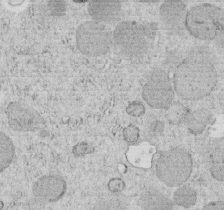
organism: C. elegans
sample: C. elegans embryo early stage